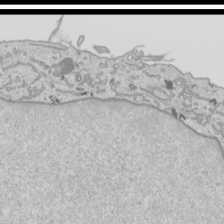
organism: Human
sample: Mitochondria in HCT116 cells